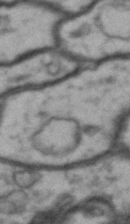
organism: Drosophila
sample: Brain